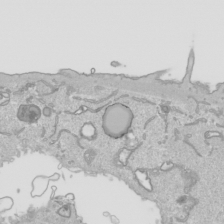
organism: Human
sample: Mitochondria in HCT116 cells